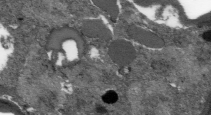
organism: Plasmodium falciparum